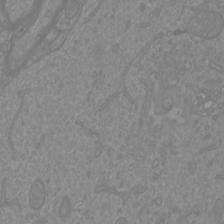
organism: Mouse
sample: Cortical neurons